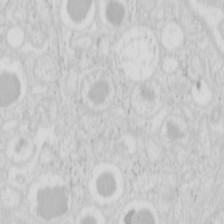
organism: Mouse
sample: Pancreas